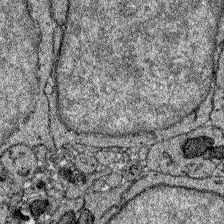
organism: Zebrafish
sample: Larval olfactory bulb